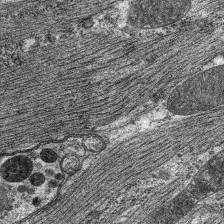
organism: C. elegans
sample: Pharynx